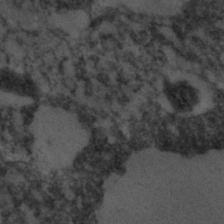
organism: C. elegans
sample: C. elegans embryo